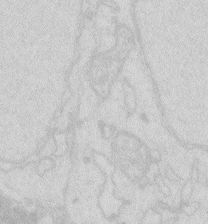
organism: Zebrafish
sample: Macrophage